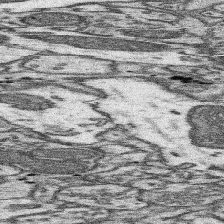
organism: Mouse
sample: Somatosensory cortex neuropil